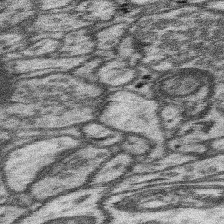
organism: Mouse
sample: Somatosensory cortex neuropil